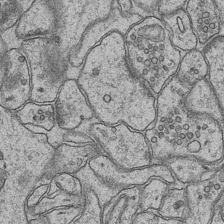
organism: Mouse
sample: CA1 Hippocampus